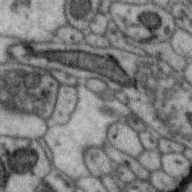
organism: Zebra finch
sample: Brain